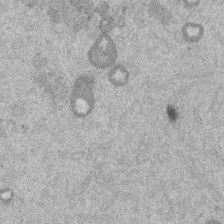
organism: Mouse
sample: Dividing mouse embryo 1 cell stage